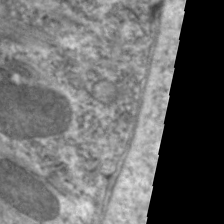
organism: C. elegans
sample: Pharynx